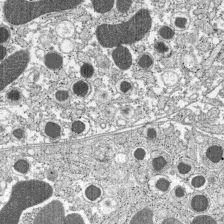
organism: C57BL Mouse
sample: Pancreatic islet